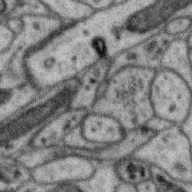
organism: Zebra finch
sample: Brain